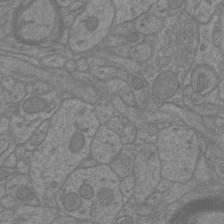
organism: Mouse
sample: Cortical neurons